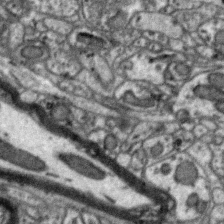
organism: Zebra finch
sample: Brain